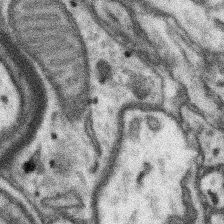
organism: Mouse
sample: Somatosensory cortex neuropil